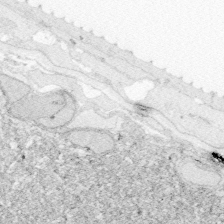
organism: Zebrafish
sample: Whole-Brain